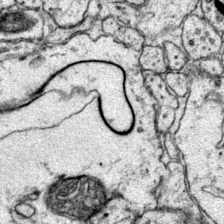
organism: Mouse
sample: Primary visual cortex